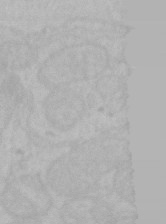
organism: Mouse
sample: Choroid plexus